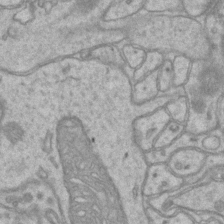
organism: Mouse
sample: CA1 Hippocampus